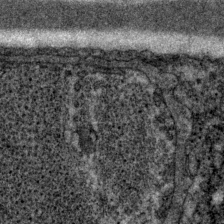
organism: P. pacificus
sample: Pharynx